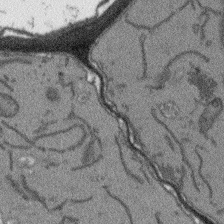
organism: Arabidopsis thaliana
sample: Root tip